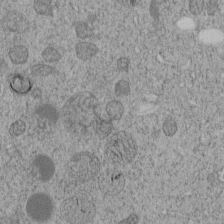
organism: C. elegans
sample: C. elegans embryo early stage